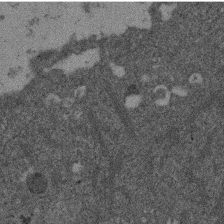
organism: Mouse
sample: Dividing mouse embryo 1 cell stage